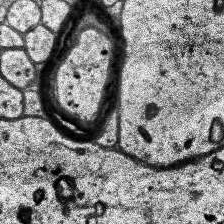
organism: Human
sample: Temporal Lobe